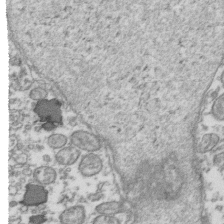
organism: Human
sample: Activated Jurkat CD4+ T cells